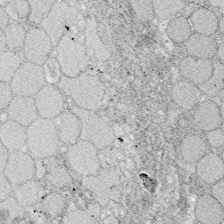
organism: Zebrafish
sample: Whole-Brain